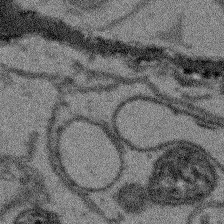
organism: Arabidopsis thaliana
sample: Root tip